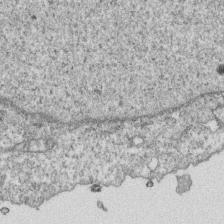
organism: Human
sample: HeLa cell HIV synapse